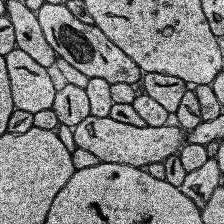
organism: Human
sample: Temporal Lobe